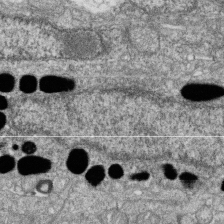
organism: Zebrafish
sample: Cilia; retinal pigment epithelium